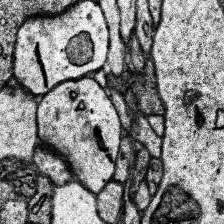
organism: Human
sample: Temporal Lobe